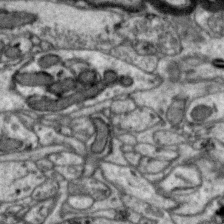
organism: Zebra finch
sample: Brain